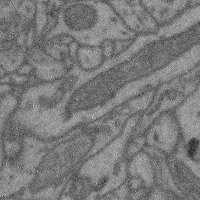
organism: Mouse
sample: Cerebral cortex